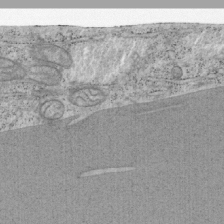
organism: Human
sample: HeLa cells